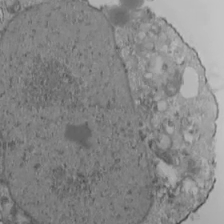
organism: Human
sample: Jurkat E6-1 and CD4 cells